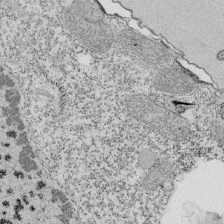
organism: Tetrahymena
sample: Cilia in tetrahymena